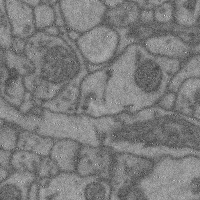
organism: Mouse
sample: Cerebral cortex